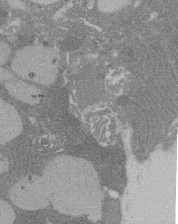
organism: Rat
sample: Salivary granule